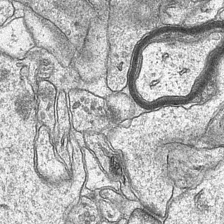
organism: Mouse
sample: CA1 Hippocampus